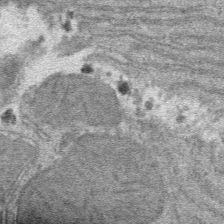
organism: Mouse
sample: Mouse hepatocytes